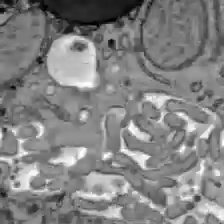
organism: C57BL Mouse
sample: Liver